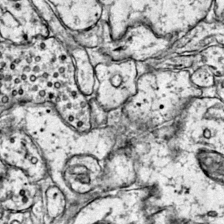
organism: Mouse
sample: Primary visual cortex